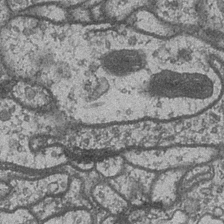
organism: Drosophila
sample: Optic medulla